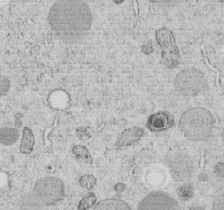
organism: C. elegans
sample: C. elegans embryo early stage